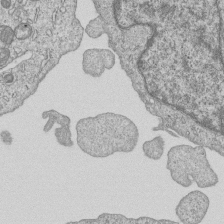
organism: Human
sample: MDA-MB-231 cells